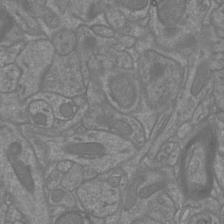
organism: Mouse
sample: Cortical neurons